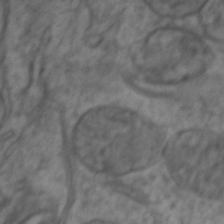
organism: Zebrafish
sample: Zebrafish embryo